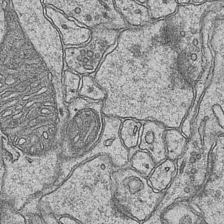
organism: Mouse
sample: CA1 Hippocampus